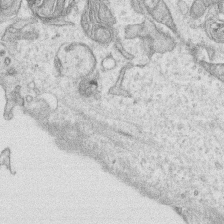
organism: Human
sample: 1205lu cells